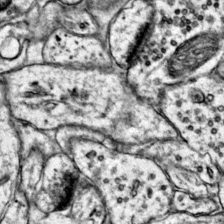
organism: Mouse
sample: Primary visual cortex